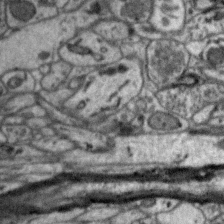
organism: Zebra finch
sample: Brain